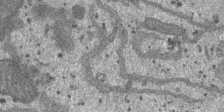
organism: Human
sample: Lung epithelial cells infected with SARS-CoV-2